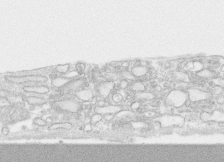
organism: Human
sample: CRL-1474